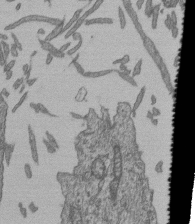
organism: Human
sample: Retinal organoid Rod and Cone cells